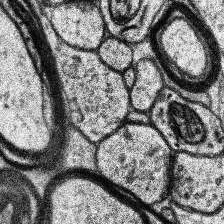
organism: Human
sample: Temporal Lobe